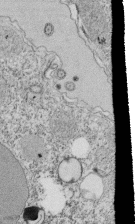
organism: Tetrahymena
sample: Cilia in tetrahymena